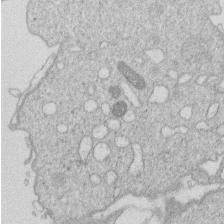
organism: Human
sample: Macrophage cells